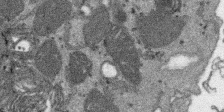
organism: Human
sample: Lung epithelial cells infected with SARS-CoV-2